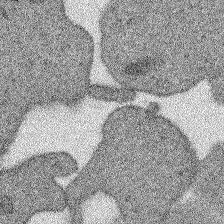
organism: Human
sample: HeLa cells